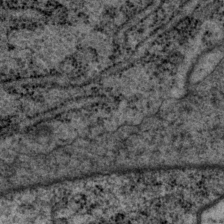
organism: P. pacificus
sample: Pharynx